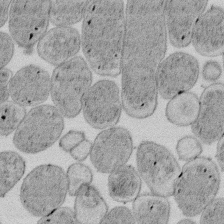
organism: E. coli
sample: Bacterial nucleoid